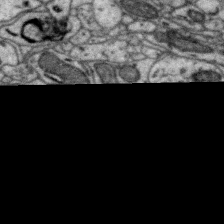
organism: Zebra finch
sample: Brain